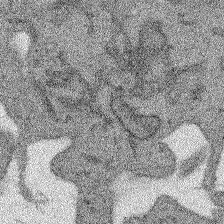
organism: Human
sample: HeLa cells